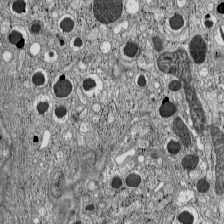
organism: C57BL Mouse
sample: Pancreatic islet